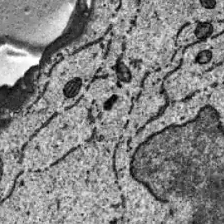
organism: Human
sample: HeLa cells